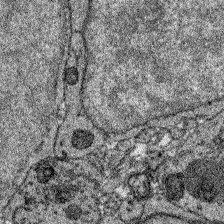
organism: Zebrafish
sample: Larval olfactory bulb